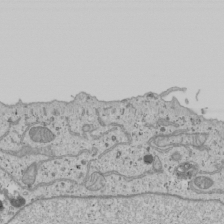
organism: Human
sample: Mitochondria in U2OS cells